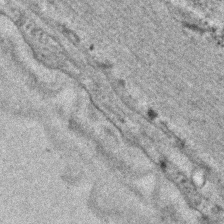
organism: C. elegans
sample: C. elegans embryo